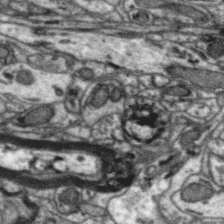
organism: Zebra finch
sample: Brain